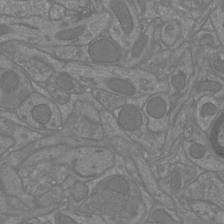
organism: Mouse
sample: Cortical neurons